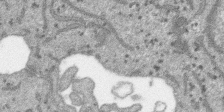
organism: Human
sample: Lung epithelial cells infected with SARS-CoV-2